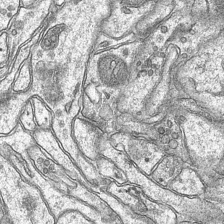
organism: Mouse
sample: CA1 Hippocampus